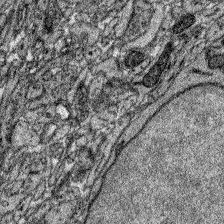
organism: Zebrafish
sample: Larval olfactory bulb